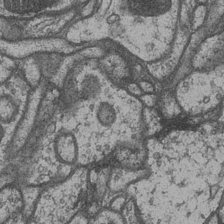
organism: Drosophila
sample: Optic medulla